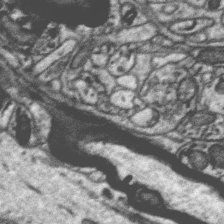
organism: Zebra finch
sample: Brain